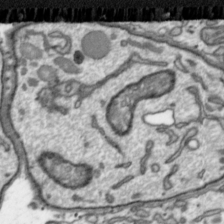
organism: Toxoplasma gondii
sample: Parasites in a vacuole inside a host cell